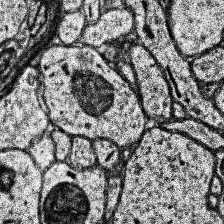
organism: Human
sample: Temporal Lobe